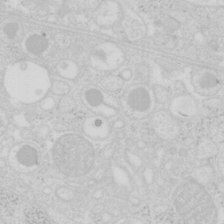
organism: Mouse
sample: Pancreas